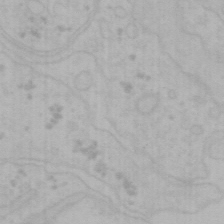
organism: Mouse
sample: Choroid plexus